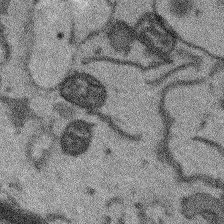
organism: Arabidopsis thaliana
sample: Root tip